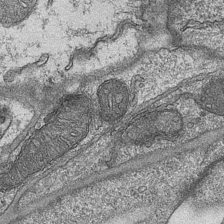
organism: Mouse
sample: CA1 Hippocampus